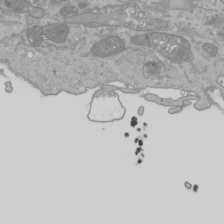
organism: Human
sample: Mitochondria in HCT116 cells